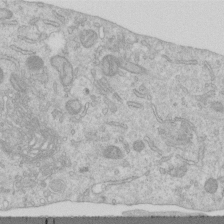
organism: Human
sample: Centriole in RPE cells